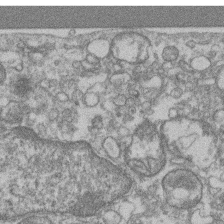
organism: Mouse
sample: T cell stromal cell synapse